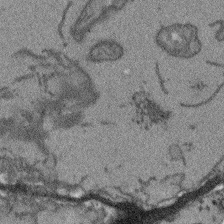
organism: Arabidopsis thaliana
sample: Root tip